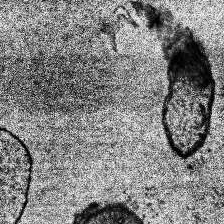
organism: Human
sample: Temporal Lobe